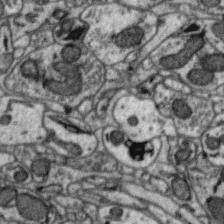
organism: Zebra finch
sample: Brain